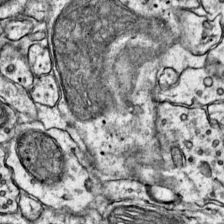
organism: Mouse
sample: Primary visual cortex